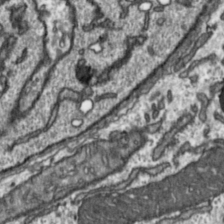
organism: Toxoplasma gondii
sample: Parasites in a vacuole inside a host cell